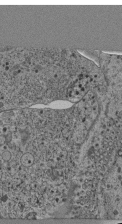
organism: C. elegans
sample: C. elegans pharynx